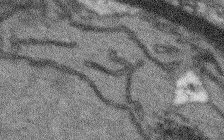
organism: Arabidopsis thaliana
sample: Root tip